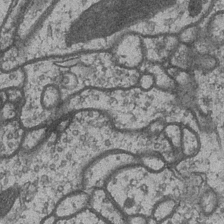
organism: Drosophila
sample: Optic medulla